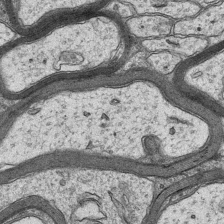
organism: Mouse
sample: CA1 Hippocampus